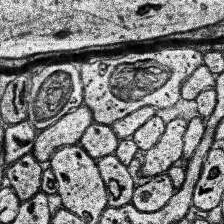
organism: Human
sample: Temporal Lobe